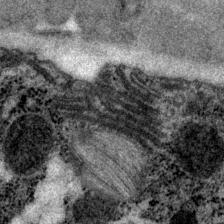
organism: P. pacificus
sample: Pharynx